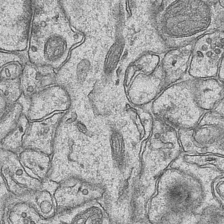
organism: Mouse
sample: CA1 Hippocampus